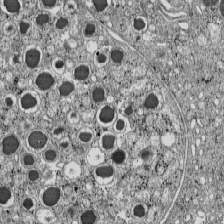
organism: C57BL Mouse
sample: Pancreatic islet